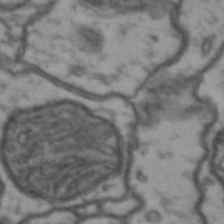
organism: Drosophila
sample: Brain